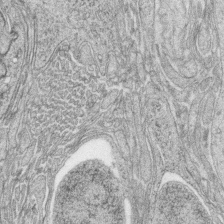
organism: Zebrafish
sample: synaptic ribbons in rod cells and cone cells